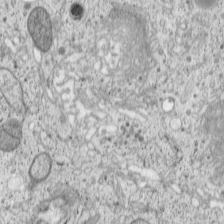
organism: African green monkey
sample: COS-7 cells